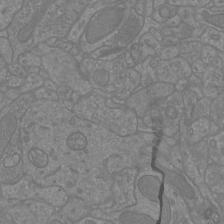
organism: Mouse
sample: Cortical neurons